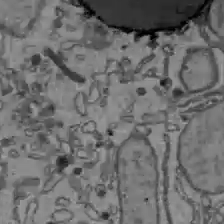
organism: C57BL Mouse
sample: Liver